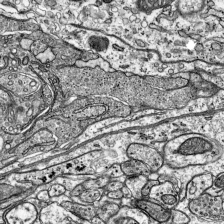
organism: Mouse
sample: Visual Cortex